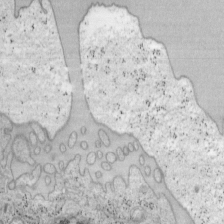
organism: Mouse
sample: OT-I killer T cells with ID8 ovarian cancer cells